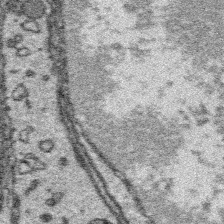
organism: Platynereis dumerilii